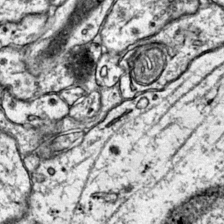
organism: Mouse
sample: Primary visual cortex